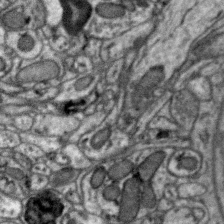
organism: Zebra finch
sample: Brain